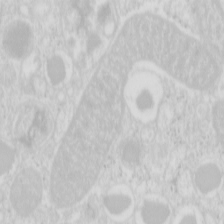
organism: Mouse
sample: Pancreas